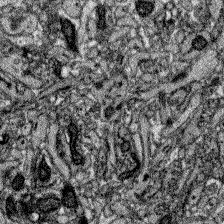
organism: Zebrafish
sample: Larval olfactory bulb